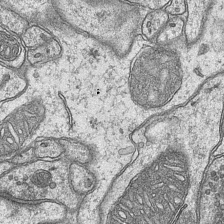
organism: Mouse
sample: CA1 Hippocampus